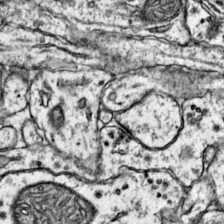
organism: Mouse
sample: Primary visual cortex